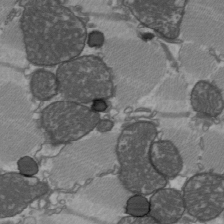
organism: C57BL Mouse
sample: Heart